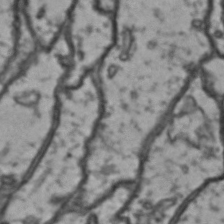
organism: Drosophila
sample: Brain